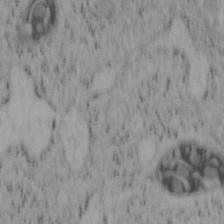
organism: Mouse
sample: OT-I killer T cells with ID8 ovarian cancer cells